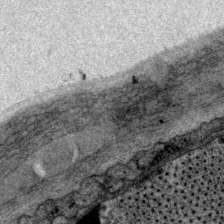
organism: P. pacificus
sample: Pharynx